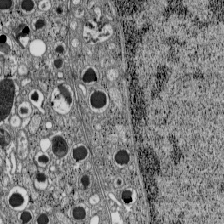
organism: C57BL Mouse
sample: Pancreatic islet